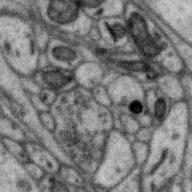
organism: Zebra finch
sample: Brain